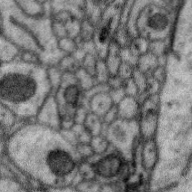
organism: Zebra finch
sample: Brain